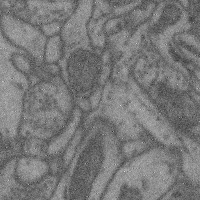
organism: Mouse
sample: Cerebral cortex